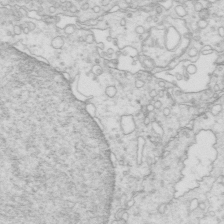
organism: Mouse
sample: Multiciliated cells